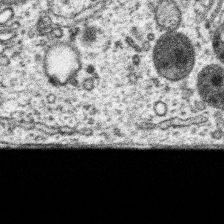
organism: Human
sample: HeLa cells